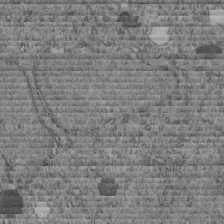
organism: C. elegans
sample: C. elegans embryo early stage